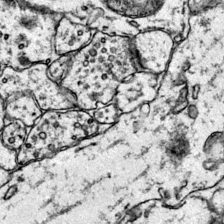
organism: Mouse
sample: Primary visual cortex